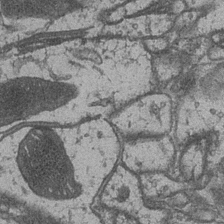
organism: Drosophila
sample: Optic medulla